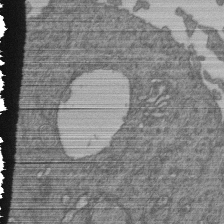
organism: Human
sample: Retinal organoid Rod and Cone cells